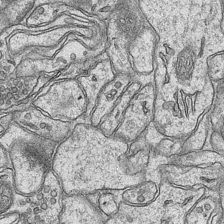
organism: Mouse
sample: CA1 Hippocampus